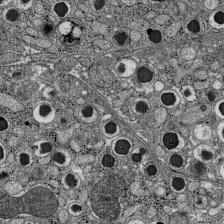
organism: C57BL Mouse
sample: Pancreatic islet